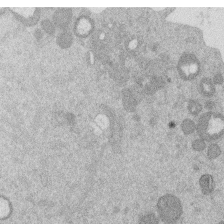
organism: Mouse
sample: Dividing mouse embryo 1 cell stage